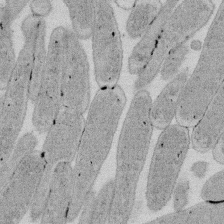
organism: E. coli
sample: Bacterial nucleoid